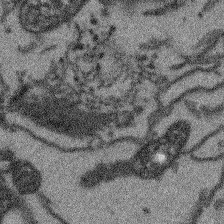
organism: Arabidopsis thaliana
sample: Root tip